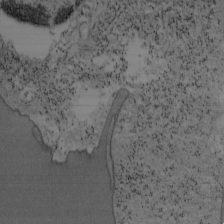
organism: Mouse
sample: OT-I killer T cells with ID8 ovarian cancer cells